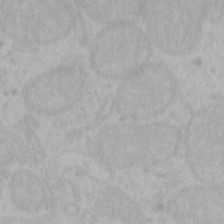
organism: Mouse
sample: Choroid plexus